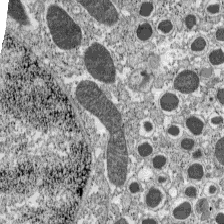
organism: C57BL Mouse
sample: Pancreatic islet